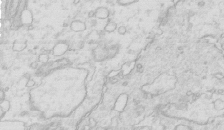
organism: Mouse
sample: Multiciliated cells